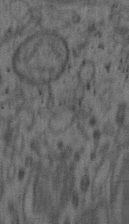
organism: Human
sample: HeLa cells